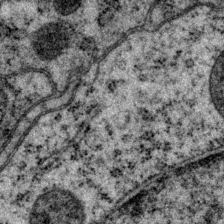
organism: P. pacificus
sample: Pharynx